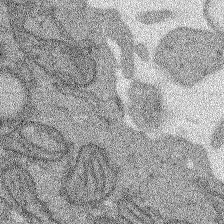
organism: Human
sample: HeLa cells